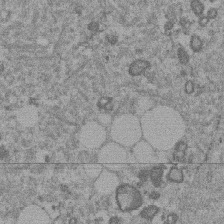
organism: Mouse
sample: Dividing mouse embryo 1 cell stage